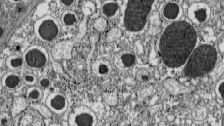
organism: C57BL Mouse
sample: Pancreatic islet